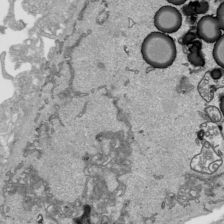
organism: Human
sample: Mitochondria in HCT116 cells